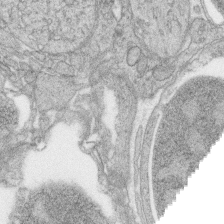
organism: Zebrafish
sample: synaptic ribbons in rod cells and cone cells